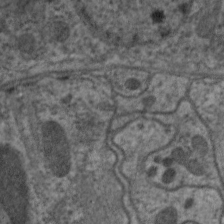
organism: C. elegans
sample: Pharynx